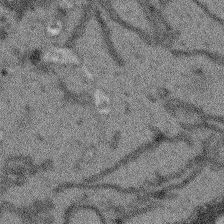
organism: Arabidopsis thaliana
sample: Root tip